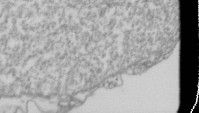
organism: Drosophila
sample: Cell division; meiosis; drosophila spermatocytes